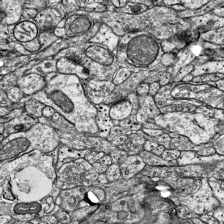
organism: Mouse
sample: Visual Cortex